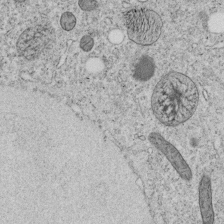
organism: C. elegans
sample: C. elegans embryo early stage